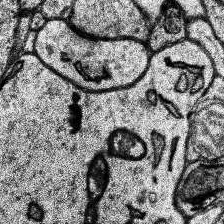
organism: Human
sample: Temporal Lobe